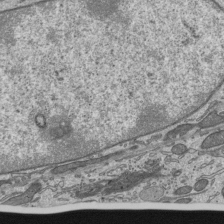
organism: Mouse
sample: Mouse epididymis efferent ductule cilia